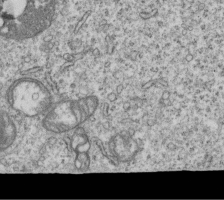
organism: Human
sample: MDA-MB-231 cells